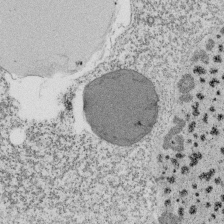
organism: Tetrahymena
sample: Cilia in tetrahymena